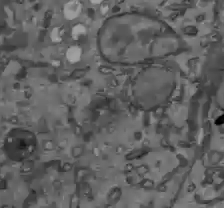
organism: C57BL Mouse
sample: Liver